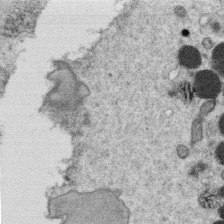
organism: C. elegans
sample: C. elegans oocyte; sperm cells